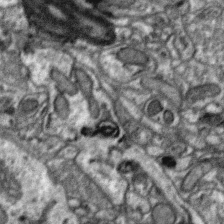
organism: Zebra finch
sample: Brain